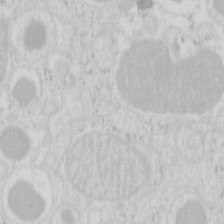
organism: Mouse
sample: Pancreas